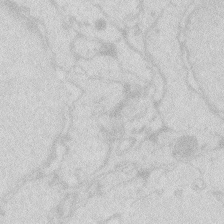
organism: Zebrafish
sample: Macrophage